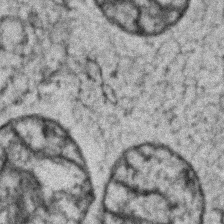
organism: Zebrafish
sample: Zebrafish embryo